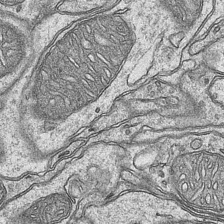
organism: Mouse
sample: CA1 Hippocampus